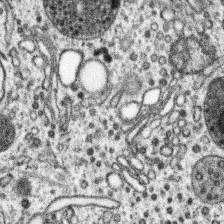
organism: Human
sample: HeLa cells